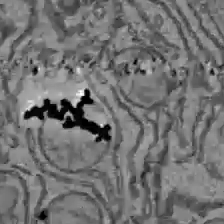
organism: C57BL Mouse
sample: Liver